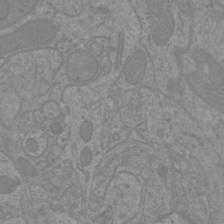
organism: Mouse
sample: Cortical neurons